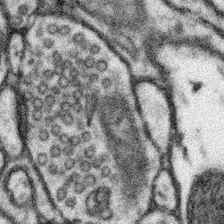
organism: Mouse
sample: Somatosensory cortex neuropil